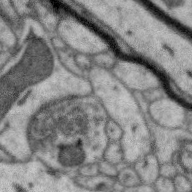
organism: Zebra finch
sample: Brain